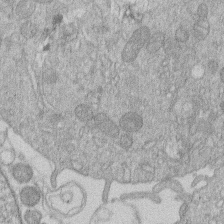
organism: Human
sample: Macrophage cells